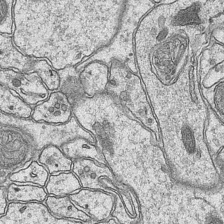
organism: Mouse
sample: CA1 Hippocampus